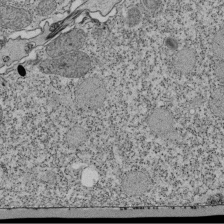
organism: Tetrahymena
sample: Cilia in tetrahymena